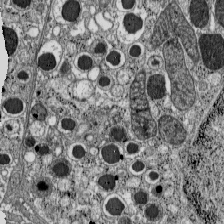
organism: C57BL Mouse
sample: Pancreatic islet